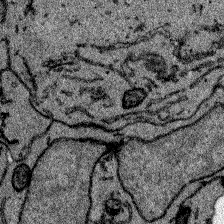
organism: Zebrafish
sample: Larval olfactory bulb